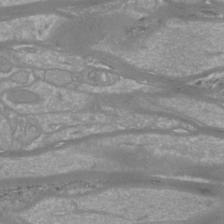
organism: Mouse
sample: Cortical neurons